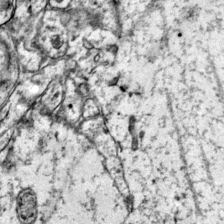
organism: Mouse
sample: Primary visual cortex